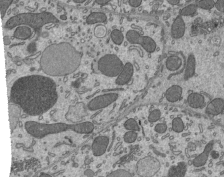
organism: Mouse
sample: Mouse epididymis efferent ductule cilia